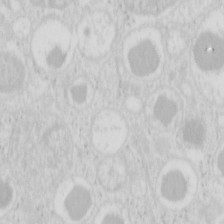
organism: Mouse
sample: Pancreas